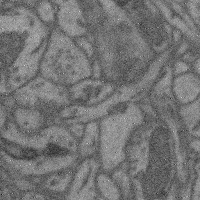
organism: Mouse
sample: Cerebral cortex